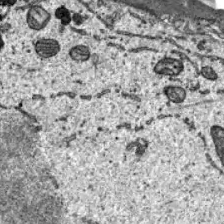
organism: Human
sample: HeLa cells